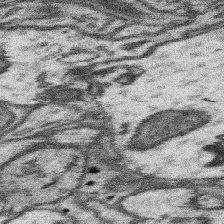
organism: Mouse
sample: Somatosensory cortex neuropil